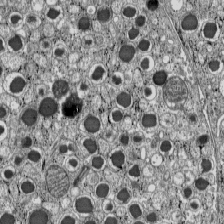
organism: C57BL Mouse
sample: Pancreatic islet